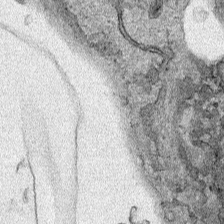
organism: Human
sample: Mitochondria in HCT116 cells